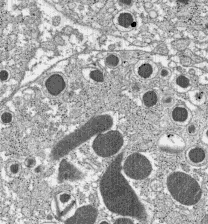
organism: C57BL Mouse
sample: Pancreatic islet